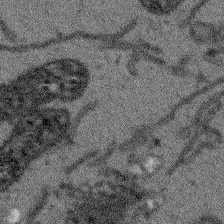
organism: Arabidopsis thaliana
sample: Root tip